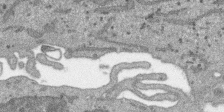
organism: Human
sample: Lung epithelial cells infected with SARS-CoV-2